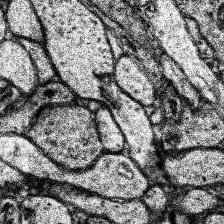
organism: Human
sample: Temporal Lobe